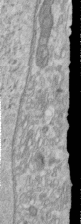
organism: Human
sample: Centriole in RPE cells